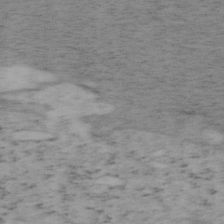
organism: Mouse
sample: OT-I killer T cells with ID8 ovarian cancer cells